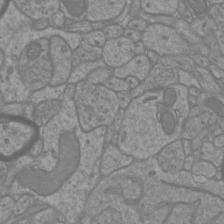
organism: Mouse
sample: Cortical neurons